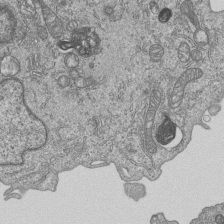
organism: Human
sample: MDA-MB-231 cells